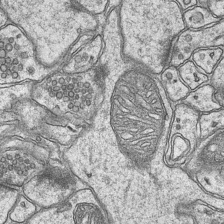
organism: Mouse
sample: CA1 Hippocampus